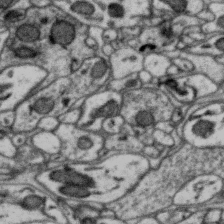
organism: Zebra finch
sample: Brain